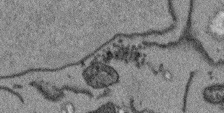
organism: Arabidopsis thaliana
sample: Root tip